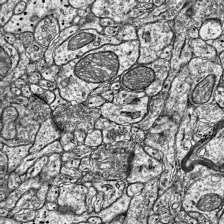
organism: Mouse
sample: Visual Cortex